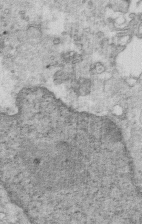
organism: Mouse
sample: Multiciliated cells